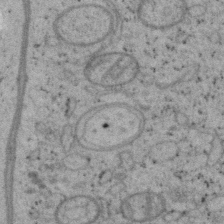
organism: Human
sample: HeLa cells